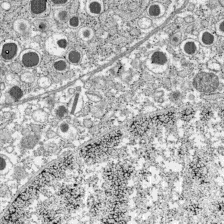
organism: C57BL Mouse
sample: Pancreatic islet